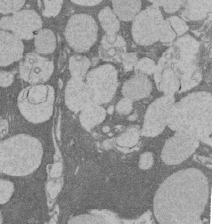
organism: Rat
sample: Salivary granule